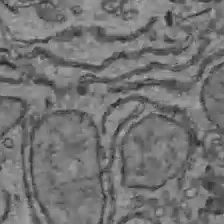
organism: C57BL Mouse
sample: Liver